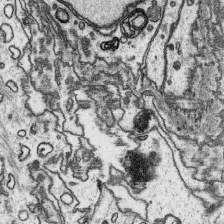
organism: Platynereis dumerilii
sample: Parapodia